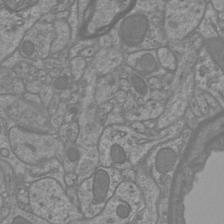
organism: Mouse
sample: Cortical neurons